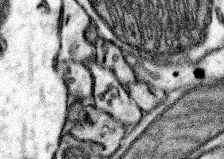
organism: Mouse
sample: Somatosensory cortex neuropil